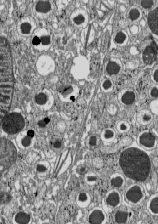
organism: C57BL Mouse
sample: Pancreatic islet